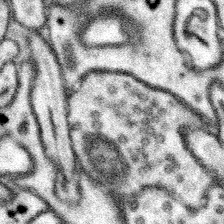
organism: Mouse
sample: Somatosensory cortex neuropil